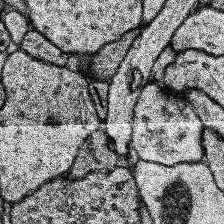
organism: Human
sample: Temporal Lobe